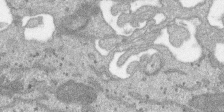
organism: Human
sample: Lung epithelial cells infected with SARS-CoV-2